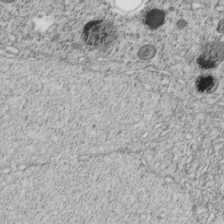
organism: C. elegans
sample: C. elegans embryo early stage